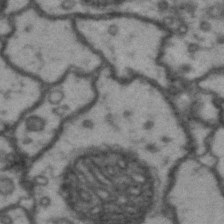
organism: Drosophila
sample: Brain